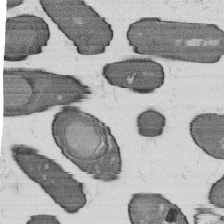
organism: B. subtilis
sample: Bacterial spore